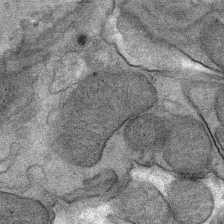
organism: Mouse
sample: Mouse Salivary gland